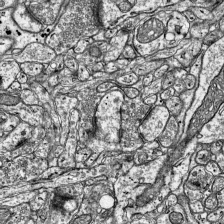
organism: Mouse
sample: Visual Cortex